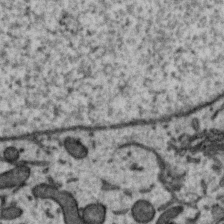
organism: Zebra finch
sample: Brain